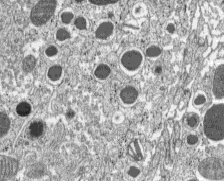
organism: C57BL Mouse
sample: Pancreatic islet